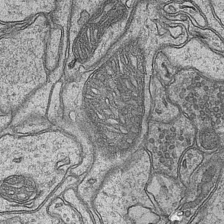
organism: Mouse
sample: CA1 Hippocampus